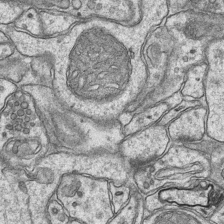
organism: Mouse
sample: CA1 Hippocampus